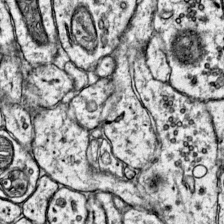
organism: Mouse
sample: Primary visual cortex